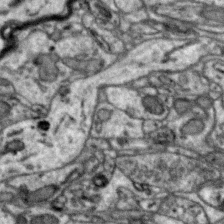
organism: Zebra finch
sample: Brain